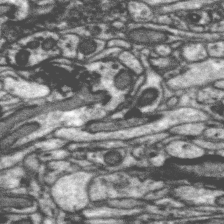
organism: Zebra finch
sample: Brain